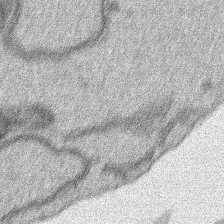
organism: Human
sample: Mitochondria in HCT116 cells